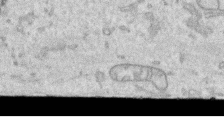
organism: Human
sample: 1205lu cells